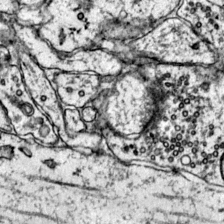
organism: Mouse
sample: Primary visual cortex